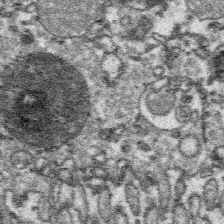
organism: Platynereis dumerilii